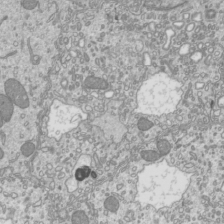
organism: Mouse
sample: Cilia; mouse epididymis